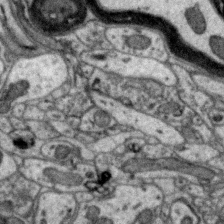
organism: Zebra finch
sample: Brain